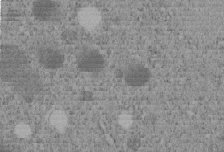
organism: C. elegans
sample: C. elegans embryo early stage